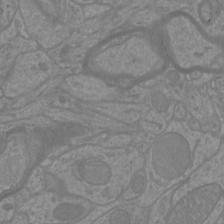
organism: Mouse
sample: Cortical neurons